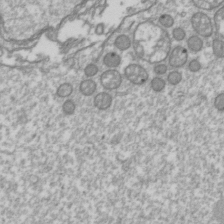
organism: Drosophila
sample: Cell division; meiosis; drosophila spermatocytes